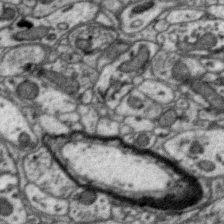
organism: Zebra finch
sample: Brain